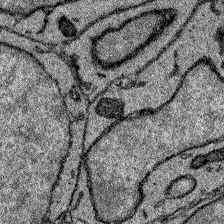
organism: Zebrafish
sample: Larval olfactory bulb